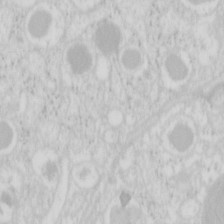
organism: Mouse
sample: Pancreas